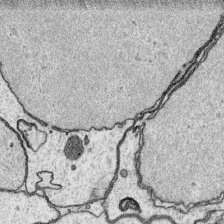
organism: Platynereis dumerilii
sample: Parapodia